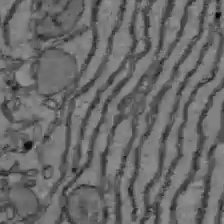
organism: C57BL Mouse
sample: Liver